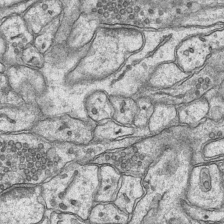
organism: Mouse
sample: CA1 Hippocampus